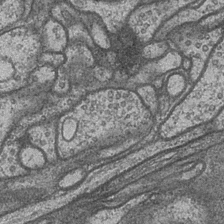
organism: Drosophila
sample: Optic medulla